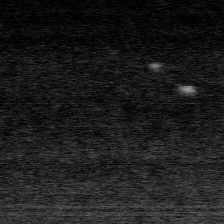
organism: Human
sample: HeLa cells